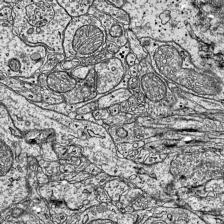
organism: Mouse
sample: Visual Cortex